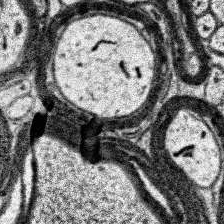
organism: Human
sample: Temporal Lobe